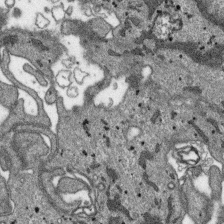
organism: Human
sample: Lung epithelial cells, uninfected (mock) control